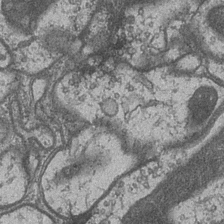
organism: Drosophila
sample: Optic medulla